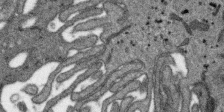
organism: Human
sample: Lung epithelial cells, uninfected (mock) control